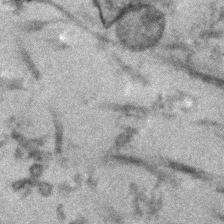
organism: Human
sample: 1205lu cells